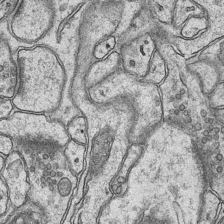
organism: Mouse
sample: CA1 Hippocampus